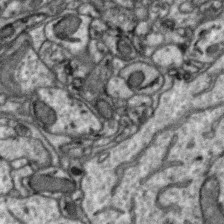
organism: Zebra finch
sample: Brain